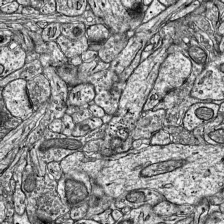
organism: Mouse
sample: Visual Cortex